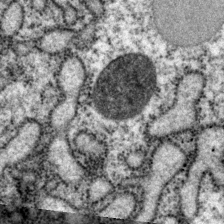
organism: P. pacificus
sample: Pharynx